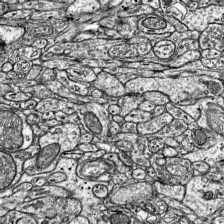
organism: Mouse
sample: Visual Cortex